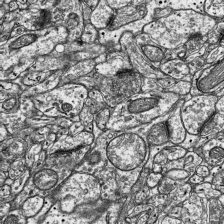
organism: Mouse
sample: Visual Cortex